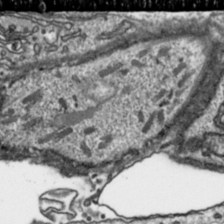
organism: Toxoplasma gondii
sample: Parasites in a vacuole inside a host cell